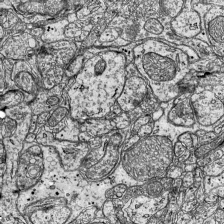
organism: Mouse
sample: Visual Cortex